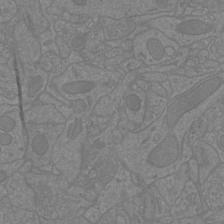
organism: Mouse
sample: Cortical neurons